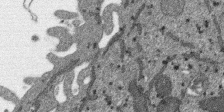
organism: Human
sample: Lung epithelial cells infected with SARS-CoV-2